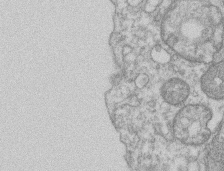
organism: Mouse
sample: T cell stromal cell synapse